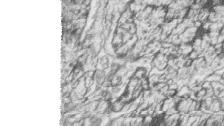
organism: Zebrafish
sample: synaptic ribbons in rod cells and cone cells